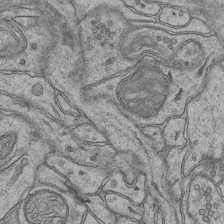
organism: Mouse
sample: CA1 Hippocampus